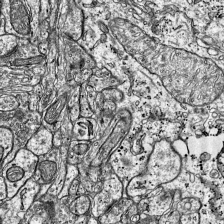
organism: Mouse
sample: Visual Cortex